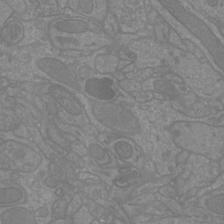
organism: Mouse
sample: Cortical neurons